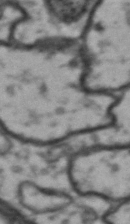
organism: Drosophila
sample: Brain